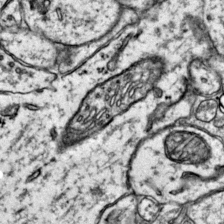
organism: Mouse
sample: Primary visual cortex